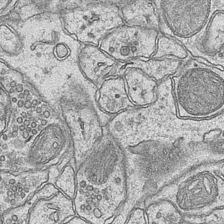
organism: Mouse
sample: CA1 Hippocampus